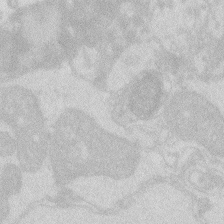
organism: Zebrafish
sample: Macrophage